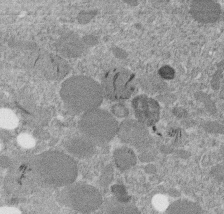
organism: C. elegans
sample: C. elegans embryo early stage